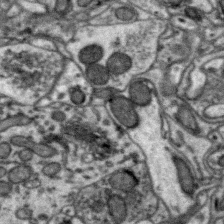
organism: Zebra finch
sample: Brain